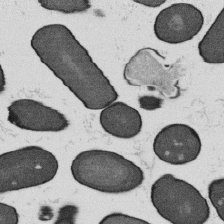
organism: B. subtilis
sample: Bacterial spore